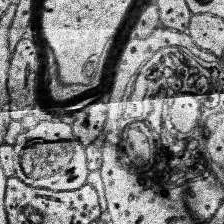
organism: Human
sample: Temporal Lobe